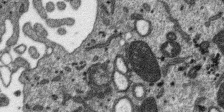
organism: Human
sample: Lung epithelial cells infected with SARS-CoV-2